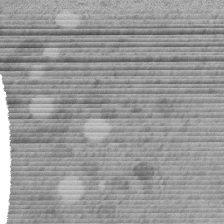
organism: C. elegans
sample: C. elegans embryo early stage